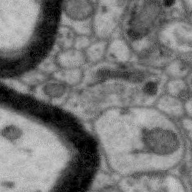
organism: Zebra finch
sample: Brain